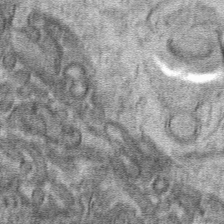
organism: Mouse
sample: Mouse hepatocytes